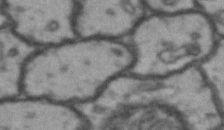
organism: Drosophila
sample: Brain